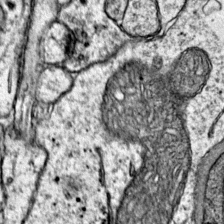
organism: Mouse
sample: Primary visual cortex